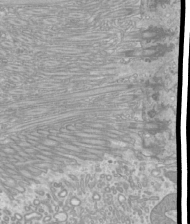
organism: Mouse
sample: Cilia; mouse epididymis